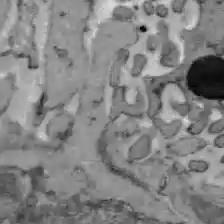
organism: C57BL Mouse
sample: Liver